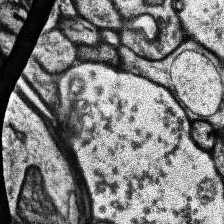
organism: Human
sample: Temporal Lobe